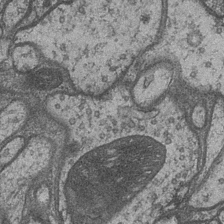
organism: Drosophila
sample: Optic medulla